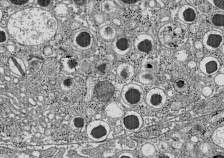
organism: C57BL Mouse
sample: Pancreatic islet